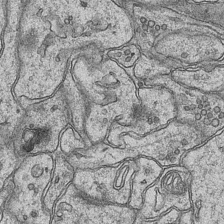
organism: Mouse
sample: CA1 Hippocampus